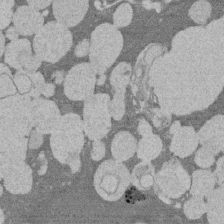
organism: Rat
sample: Salivary granule